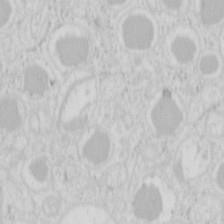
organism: Mouse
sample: Pancreas